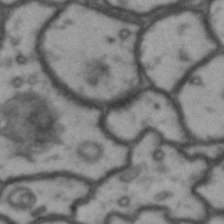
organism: Drosophila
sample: Brain